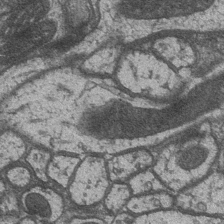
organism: Drosophila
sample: Optic medulla